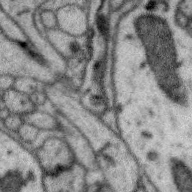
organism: Zebra finch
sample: Brain